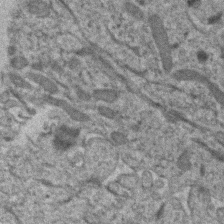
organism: Human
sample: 1205lu cells